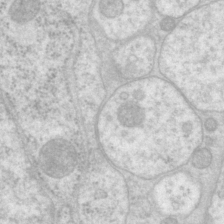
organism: P. pacificus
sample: Pharynx